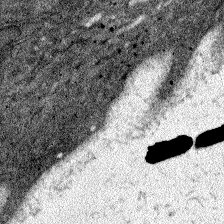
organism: Zebrafish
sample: Larval olfactory bulb